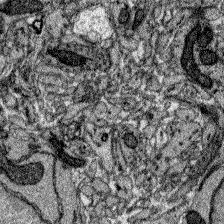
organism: Zebrafish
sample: Larval olfactory bulb